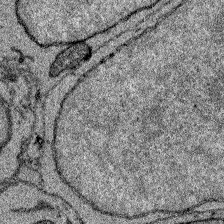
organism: Zebrafish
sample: Larval olfactory bulb